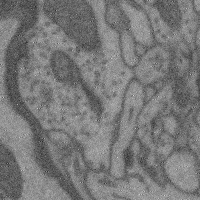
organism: Mouse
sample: Cerebral cortex